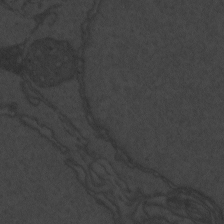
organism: Zebrafish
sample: Macrophage infected with Toxoplasma gondii